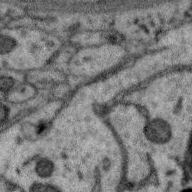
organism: Zebra finch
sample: Brain